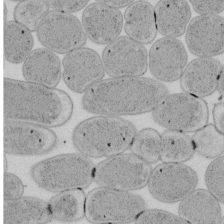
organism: E. coli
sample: Bacterial nucleoid